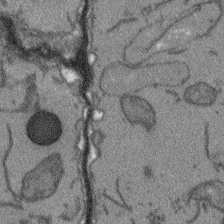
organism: Arabidopsis thaliana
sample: Root tip